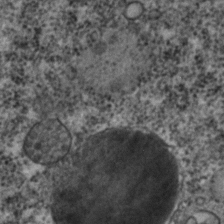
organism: C. elegans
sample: C. elegans embryo